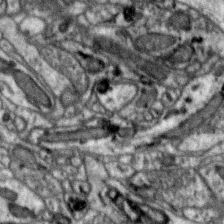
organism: Zebra finch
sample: Brain